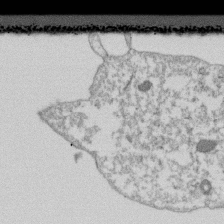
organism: Dictyostelium discoideum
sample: Dictyostelium multivesicular bodies